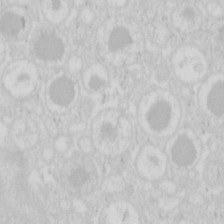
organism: Mouse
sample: Pancreas